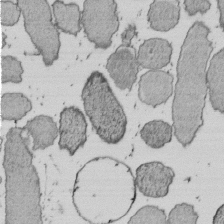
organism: E. coli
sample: Bacterial nucleoid